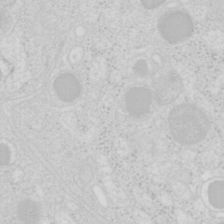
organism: Mouse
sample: Pancreas